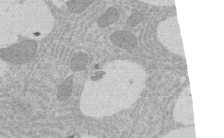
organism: Rat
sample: Salivary granule